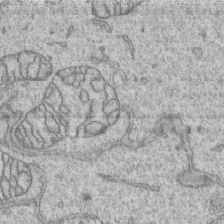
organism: Human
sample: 1205lu cells